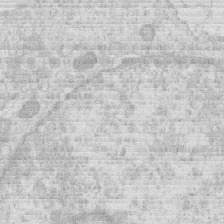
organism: Human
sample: Macrophage cells